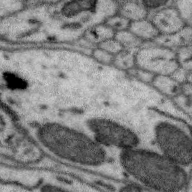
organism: Zebra finch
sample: Brain